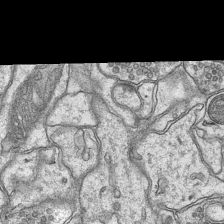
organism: Mouse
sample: CA1 Hippocampus